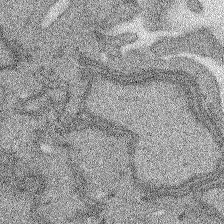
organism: Human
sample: HeLa cells